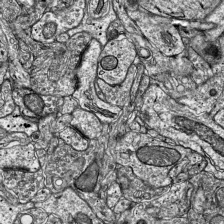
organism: Mouse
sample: Visual Cortex